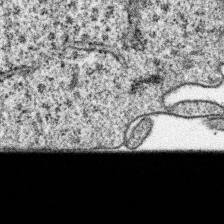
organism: Human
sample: HeLa cells